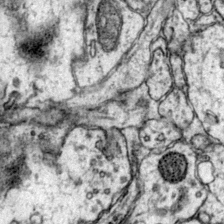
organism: Mouse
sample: Primary visual cortex